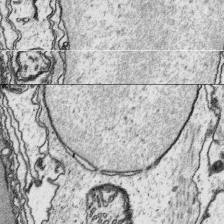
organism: Platynereis dumerilii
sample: Parapodia